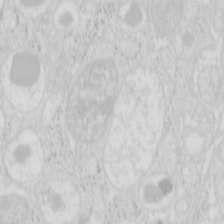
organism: Mouse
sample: Pancreas